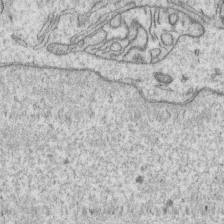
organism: Human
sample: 1205lu cells